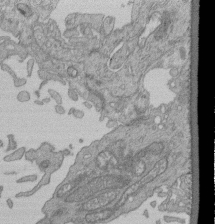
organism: Human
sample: Retinal organoid Rod and Cone cells